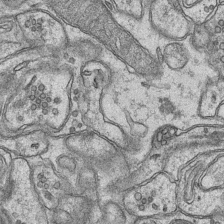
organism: Mouse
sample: CA1 Hippocampus